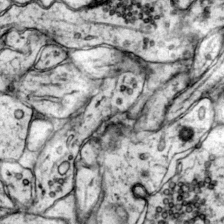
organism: Mouse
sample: Primary visual cortex